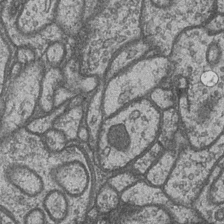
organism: Drosophila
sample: Optic medulla